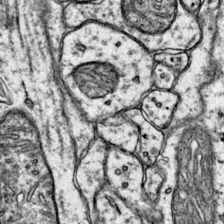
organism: Mouse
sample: Primary visual cortex